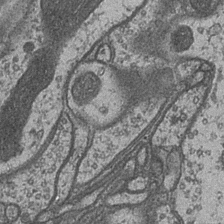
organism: Drosophila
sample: Optic medulla